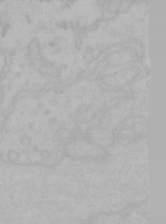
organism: Mouse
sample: Choroid plexus